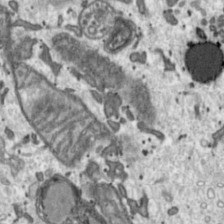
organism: Toxoplasma gondii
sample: Parasites in a vacuole inside a host cell